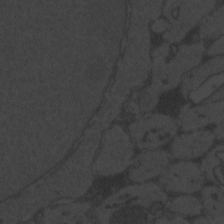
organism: Zebrafish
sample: Macrophage infected with Toxoplasma gondii